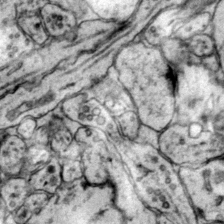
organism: Mouse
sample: Primary visual cortex